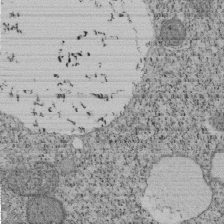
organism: Tetrahymena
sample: Cilia in tetrahymena